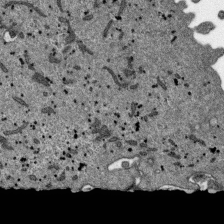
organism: Human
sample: Lung epithelial cells, uninfected (mock) control